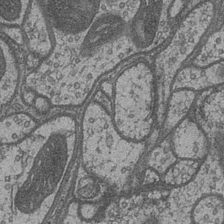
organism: Drosophila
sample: Optic medulla